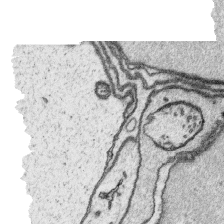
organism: Platynereis dumerilii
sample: Parapodia